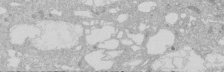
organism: Human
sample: Caco-2 cells